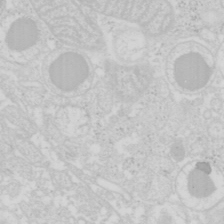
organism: Mouse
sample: Pancreas